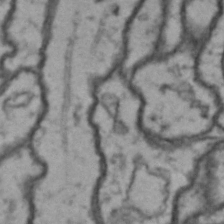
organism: Drosophila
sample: Brain